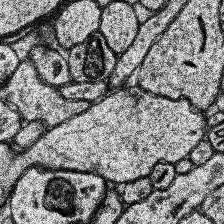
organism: Human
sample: Temporal Lobe